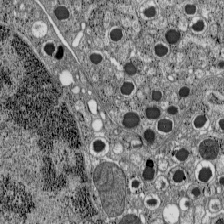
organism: C57BL Mouse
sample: Pancreatic islet